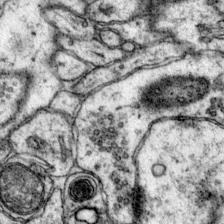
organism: Mouse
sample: Primary visual cortex